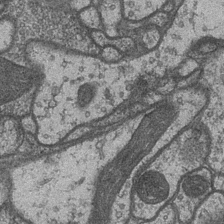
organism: Drosophila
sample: Optic medulla